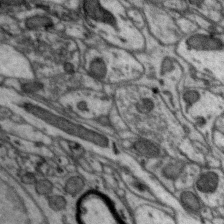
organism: Zebra finch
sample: Brain